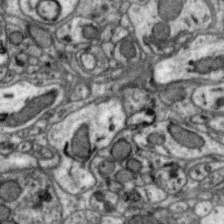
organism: Zebra finch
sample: Brain